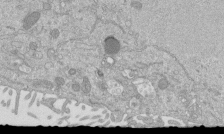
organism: Mouse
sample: ED-1 cell nuclei; centrioles